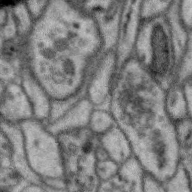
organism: Zebra finch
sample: Brain